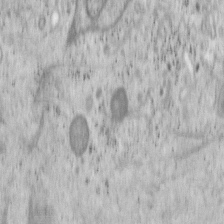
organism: Human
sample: HeLa cells